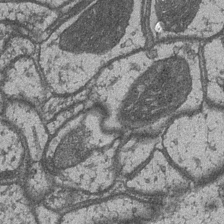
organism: Drosophila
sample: Optic medulla